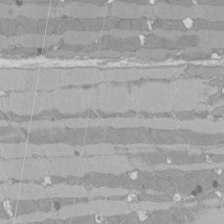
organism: Rat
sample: Left ventricle